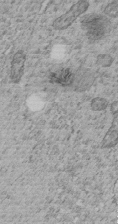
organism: C. elegans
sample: C. elegans embryo early stage